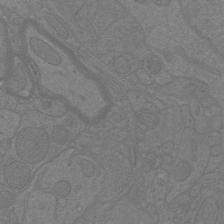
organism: Mouse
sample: Cortical neurons